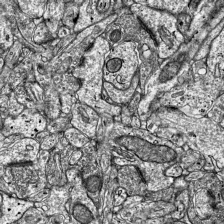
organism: Mouse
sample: Visual Cortex